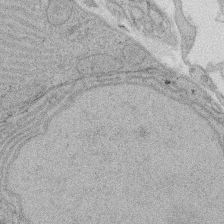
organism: Rat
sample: Salivary granule